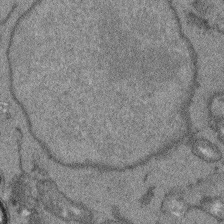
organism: Arabidopsis thaliana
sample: Root tip